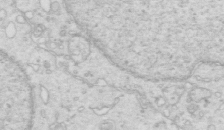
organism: Mouse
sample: Multiciliated cells